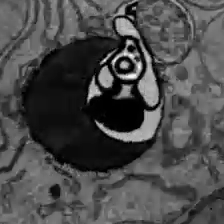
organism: C57BL Mouse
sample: Liver